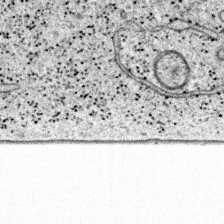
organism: Human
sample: HeLa cells